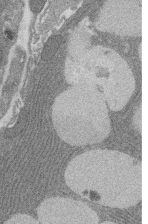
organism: Rat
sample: Salivary granule